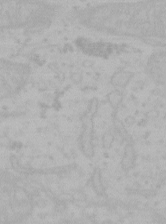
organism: Mouse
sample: Choroid plexus